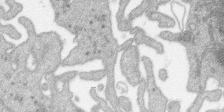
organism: Human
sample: Lung epithelial cells infected with SARS-CoV-2